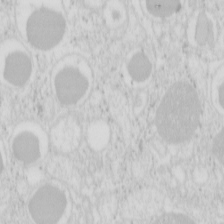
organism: Mouse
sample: Pancreas